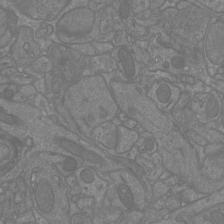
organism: Mouse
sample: Cortical neurons